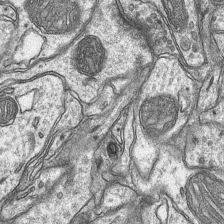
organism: Mouse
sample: CA1 Hippocampus